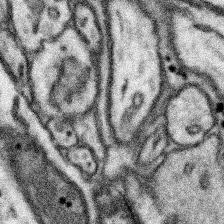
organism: Mouse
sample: Somatosensory cortex neuropil